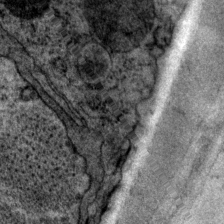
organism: P. pacificus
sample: Pharynx